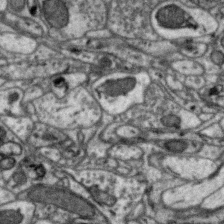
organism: Zebra finch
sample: Brain